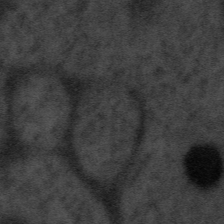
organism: Tuwongella immobilis